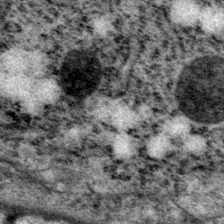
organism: P. pacificus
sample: Pharynx